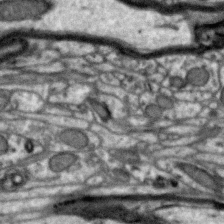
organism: Zebra finch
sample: Brain